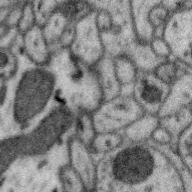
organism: Zebra finch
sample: Brain